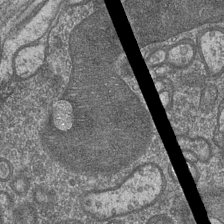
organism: Drosophila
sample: Optic medulla